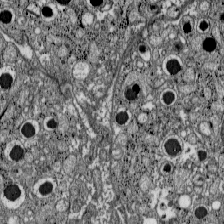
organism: C57BL Mouse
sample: Pancreatic islet